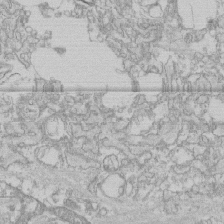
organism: Human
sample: CRL-1474